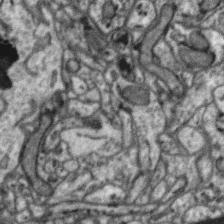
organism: Zebra finch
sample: Brain